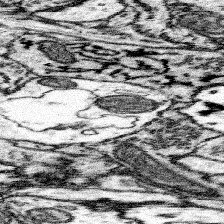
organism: Mouse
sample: Somatosensory cortex neuropil